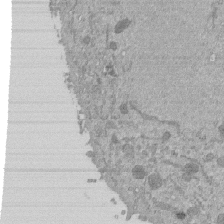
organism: Mouse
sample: ED-1 cell nuclei; centrioles